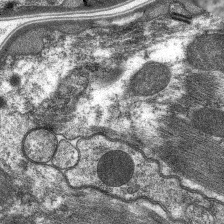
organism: C. elegans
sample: Pharynx